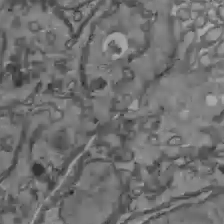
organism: C57BL Mouse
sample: Liver